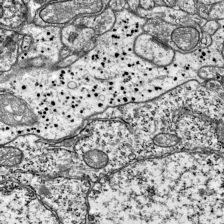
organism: Mouse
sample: Visual Cortex